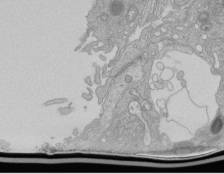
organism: Human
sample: Retinal organoid Rod and Cone cells